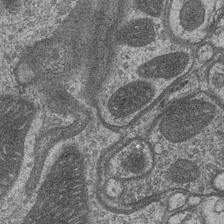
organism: Drosophila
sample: Optic medulla